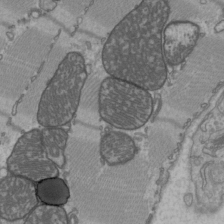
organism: C57BL Mouse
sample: Heart